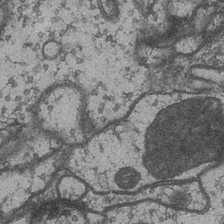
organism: Drosophila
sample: Optic medulla